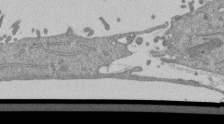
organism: Mouse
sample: ED-1 cell nuclei; centrioles